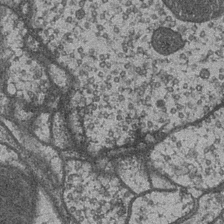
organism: Drosophila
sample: Optic medulla